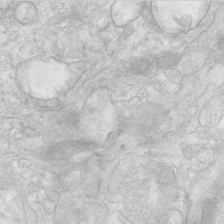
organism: Human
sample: Neocortex